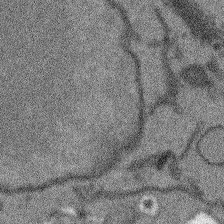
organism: Arabidopsis thaliana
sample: Root tip